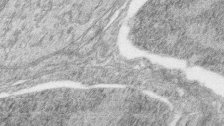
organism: Zebrafish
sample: synaptic ribbons in rod cells and cone cells